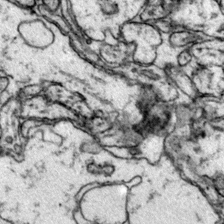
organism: Mouse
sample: Primary visual cortex